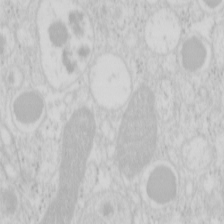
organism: Mouse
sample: Pancreas